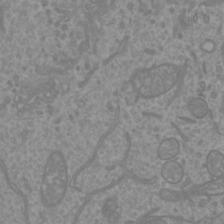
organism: Mouse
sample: Cortical neurons